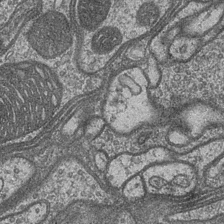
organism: Drosophila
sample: Optic medulla